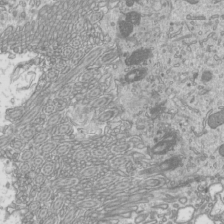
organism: Mouse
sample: Cilia; mouse epididymis